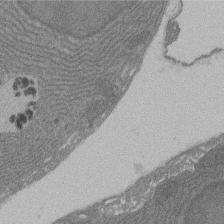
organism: Rat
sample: Salivary granule